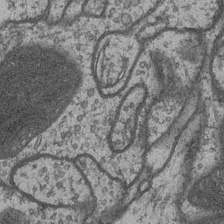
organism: Drosophila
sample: Optic medulla